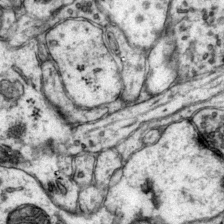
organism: Mouse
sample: Primary visual cortex